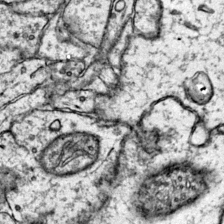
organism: Mouse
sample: Primary visual cortex